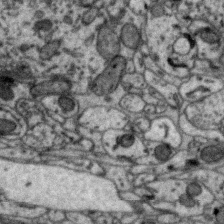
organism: Zebra finch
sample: Brain